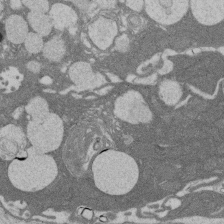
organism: Rat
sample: Salivary granule